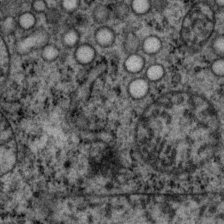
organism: P. pacificus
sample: Pharynx